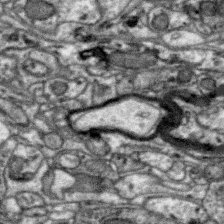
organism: Zebra finch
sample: Brain